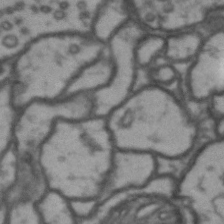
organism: Drosophila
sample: Brain